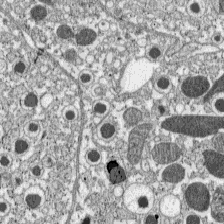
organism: C57BL Mouse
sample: Pancreatic islet